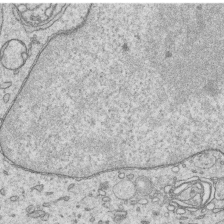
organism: Human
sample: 1205lu cells